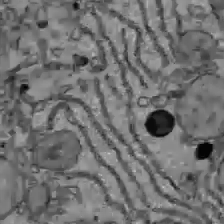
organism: C57BL Mouse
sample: Liver